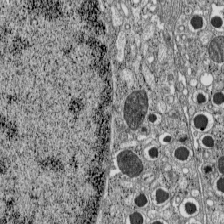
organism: C57BL Mouse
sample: Pancreatic islet